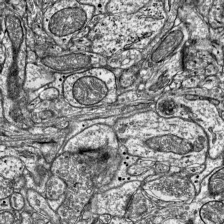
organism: Mouse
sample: Visual Cortex